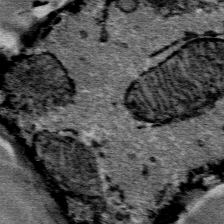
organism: Mouse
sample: Mouse Salivary gland